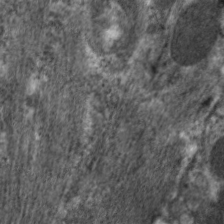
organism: C. elegans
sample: Pharynx